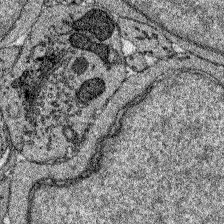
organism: Zebrafish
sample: Larval olfactory bulb